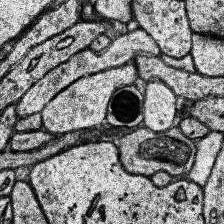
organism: Human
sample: Temporal Lobe